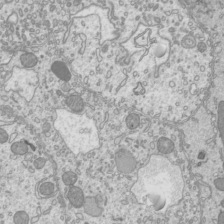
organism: Mouse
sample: Cilia; mouse epididymis